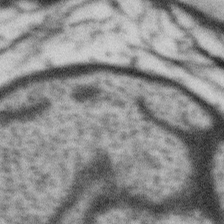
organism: Gemmata obscuriglobus